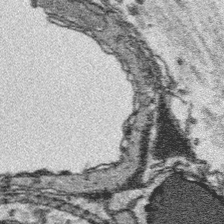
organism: Platynereis dumerilii